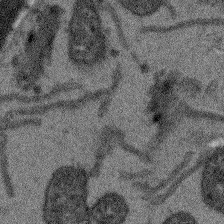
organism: Arabidopsis thaliana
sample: Root tip